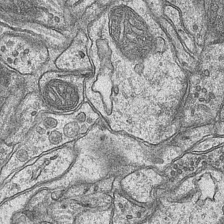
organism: Mouse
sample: CA1 Hippocampus